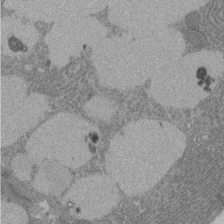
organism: Rat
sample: Salivary granule